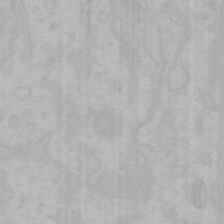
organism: Mouse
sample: Choroid plexus